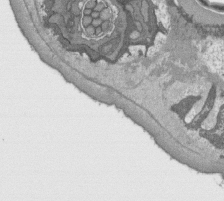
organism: C. elegans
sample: AFD neurons C. elegans